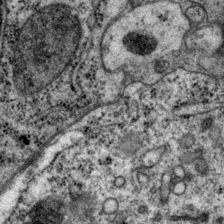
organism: P. pacificus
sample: Pharynx